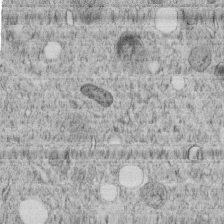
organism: C. elegans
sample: C. elegans embryo early stage